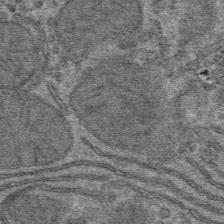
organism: Mouse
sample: Mouse hepatocytes